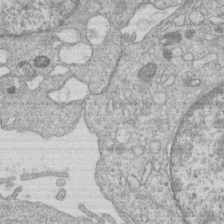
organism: Human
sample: Macrophage cells